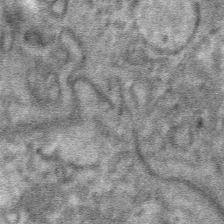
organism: Mouse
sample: Mouse hepatocytes